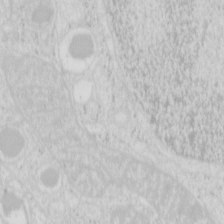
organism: Mouse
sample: Pancreas